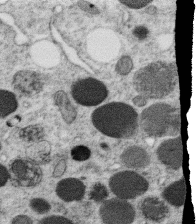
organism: C. elegans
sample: C. elegans oocyte; sperm cells